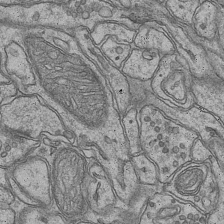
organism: Mouse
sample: CA1 Hippocampus